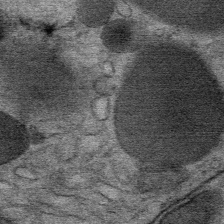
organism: Mouse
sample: Mouse Salivary gland